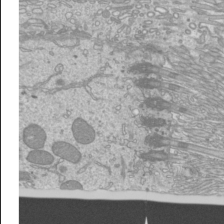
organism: Mouse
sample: Cilia; mouse epididymis